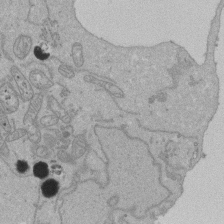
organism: Human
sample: Activated Jurkat CD4+ T cells